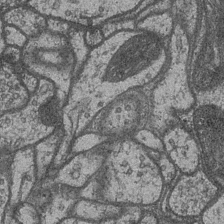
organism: Drosophila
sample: Optic medulla